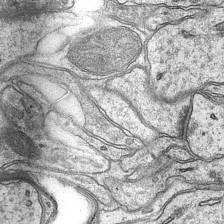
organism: Mouse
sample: CA1 Hippocampus